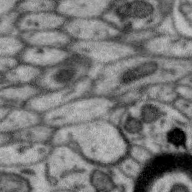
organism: Zebra finch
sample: Brain